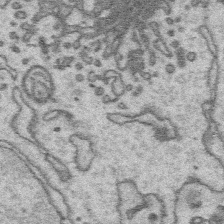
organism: Platynereis dumerilii